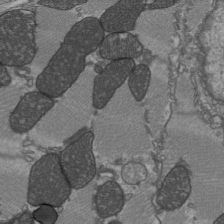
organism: C57BL Mouse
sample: Heart